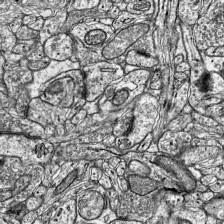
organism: Mouse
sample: Visual Cortex